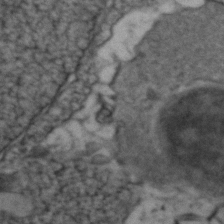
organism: Zebrafish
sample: Zebrafish embryo